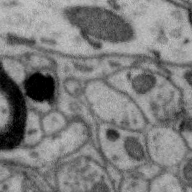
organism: Zebra finch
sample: Brain